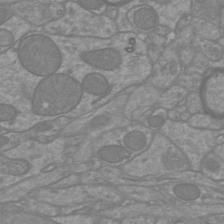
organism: Mouse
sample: Cortical neurons